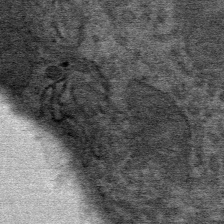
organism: Mouse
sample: Mouse Salivary gland